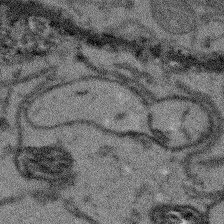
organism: Arabidopsis thaliana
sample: Root tip